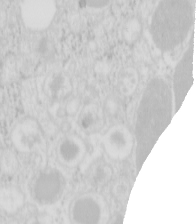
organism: Mouse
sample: Pancreas